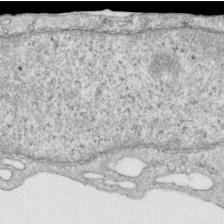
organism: Human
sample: Centriole in RPE cells